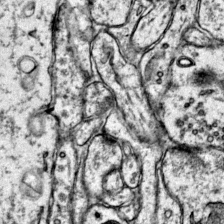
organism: Mouse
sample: Primary visual cortex